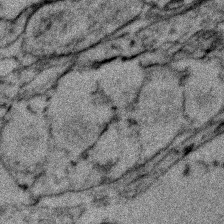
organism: Zebrafish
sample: Zebrafish embryo